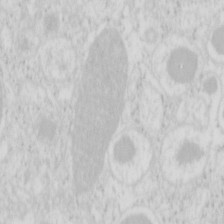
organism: Mouse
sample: Pancreas